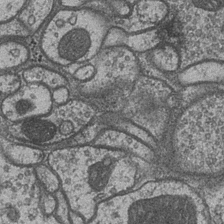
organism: Drosophila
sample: Optic medulla